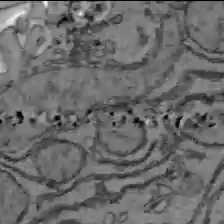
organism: C57BL Mouse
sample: Liver